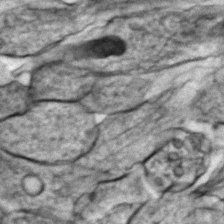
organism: Zebrafish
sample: Zebrafish embryo